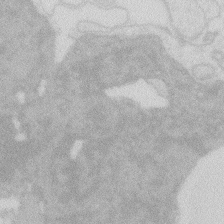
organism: Zebrafish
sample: Macrophage